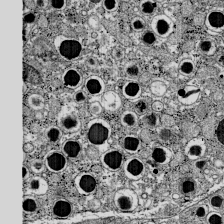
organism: C57BL Mouse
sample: Pancreatic islet